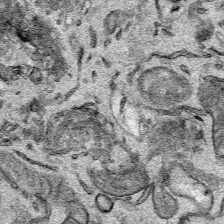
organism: Mouse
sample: Cancer cell death in ED-1 cells